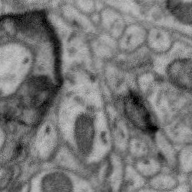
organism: Zebra finch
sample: Brain